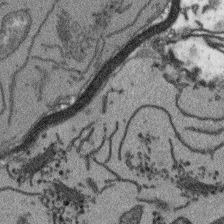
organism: Arabidopsis thaliana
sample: Root tip